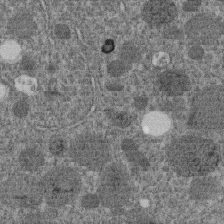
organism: C. elegans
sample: C. elegans embryo early stage